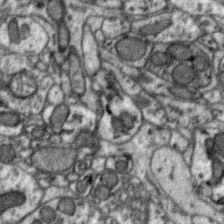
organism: Zebra finch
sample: Brain